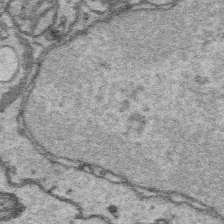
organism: Platynereis dumerilii